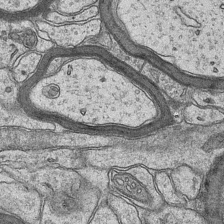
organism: Mouse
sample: CA1 Hippocampus